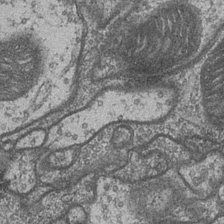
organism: Drosophila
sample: Optic medulla